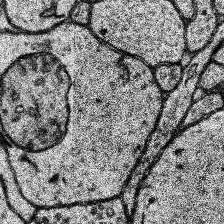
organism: Human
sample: Temporal Lobe